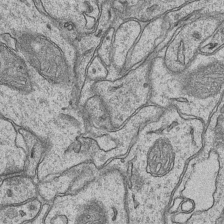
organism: Mouse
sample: CA1 Hippocampus